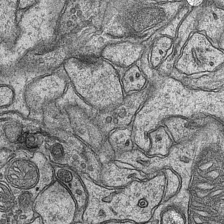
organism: Mouse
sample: CA1 Hippocampus